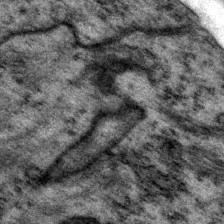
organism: P. pacificus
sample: Pharynx